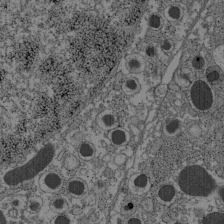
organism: C57BL Mouse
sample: Pancreatic islet